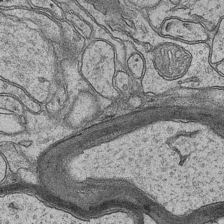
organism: Mouse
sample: CA1 Hippocampus